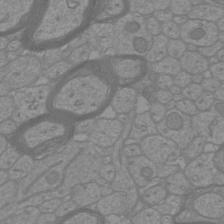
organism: Mouse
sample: Cortical neurons